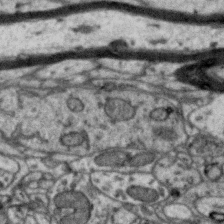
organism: Zebra finch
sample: Brain